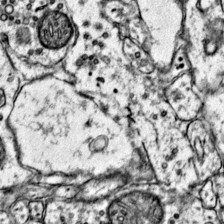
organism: Mouse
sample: Primary visual cortex